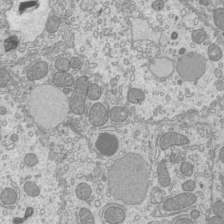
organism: Mouse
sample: Cilia; mouse epididymis